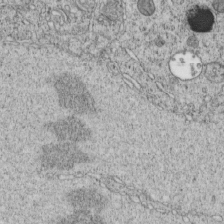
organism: C. elegans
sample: C. elegans embryo early stage